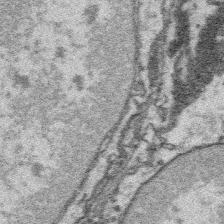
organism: Platynereis dumerilii